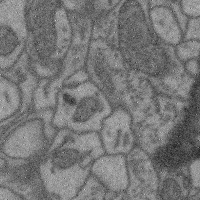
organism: Mouse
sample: Cerebral cortex